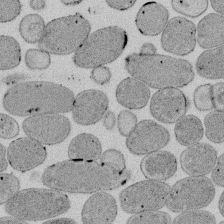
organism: E. coli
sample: Bacterial nucleoid